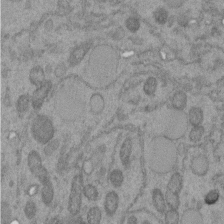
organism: C. elegans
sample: C. elegans embryo early stage